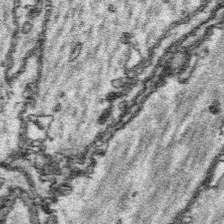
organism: Platynereis dumerilii